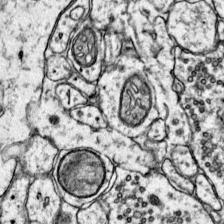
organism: Mouse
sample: Primary visual cortex